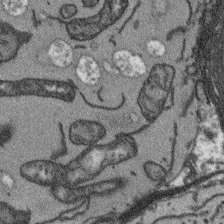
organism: Arabidopsis thaliana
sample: Root tip